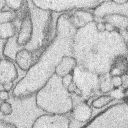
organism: Rabbit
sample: Retina